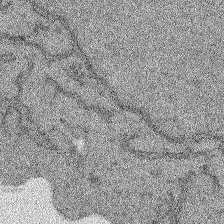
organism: Human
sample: HeLa cells